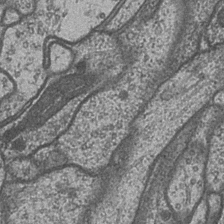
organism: Drosophila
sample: Optic medulla